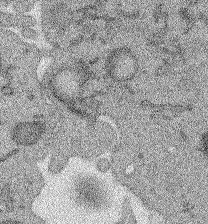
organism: Human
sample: HeLa cells